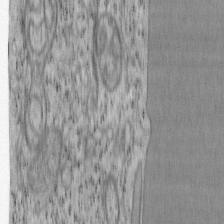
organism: Human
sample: HeLa cells